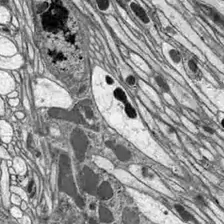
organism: Drosophila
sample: Optic lobe